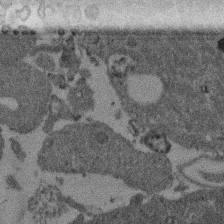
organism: Mouse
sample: Dividing mouse embryo 1 cell stage